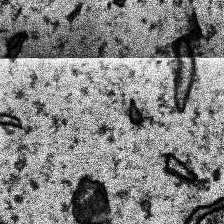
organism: Human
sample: Temporal Lobe